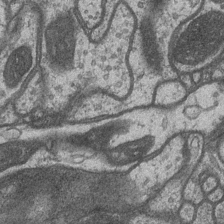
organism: Drosophila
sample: Optic medulla